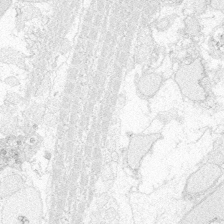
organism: Zebrafish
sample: Whole-Brain